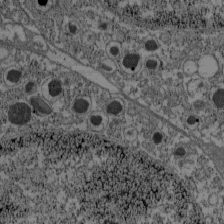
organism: C57BL Mouse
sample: Pancreatic islet